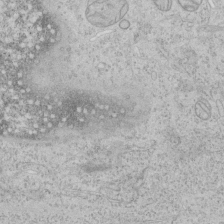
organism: Human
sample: Mitochondria in HCT116 cells